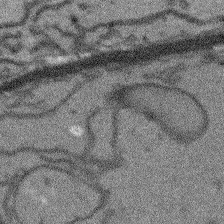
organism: Arabidopsis thaliana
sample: Root tip